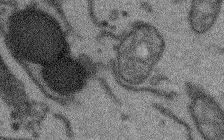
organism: Arabidopsis thaliana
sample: Root tip